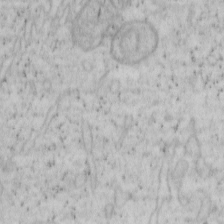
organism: Human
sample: HeLa cells